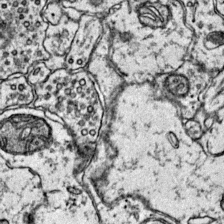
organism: Mouse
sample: Primary visual cortex